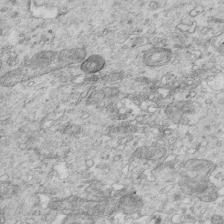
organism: Mouse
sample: Multiciliated cells